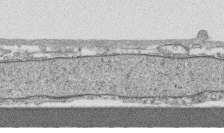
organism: Human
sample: CRL-1474